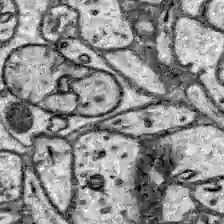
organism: Zebrafish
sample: Brain